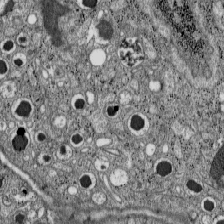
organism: C57BL Mouse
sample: Pancreatic islet